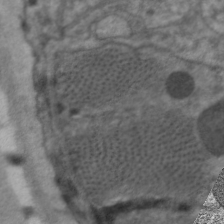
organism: C. elegans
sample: Pharynx